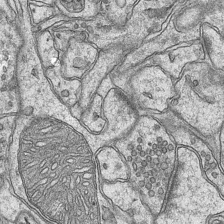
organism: Mouse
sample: CA1 Hippocampus